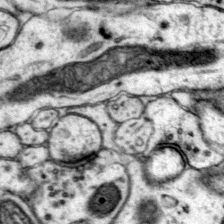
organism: Mouse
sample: Primary visual cortex